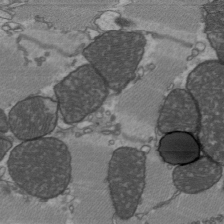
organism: C57BL Mouse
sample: Heart